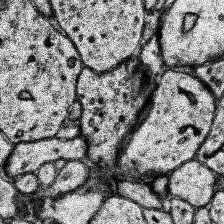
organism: Human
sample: Temporal Lobe